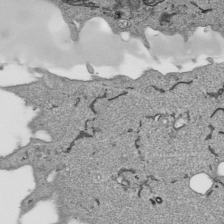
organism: Human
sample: Mitochondria in HCT116 cells